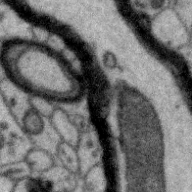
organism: Zebra finch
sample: Brain